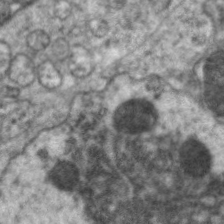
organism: C. elegans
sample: Pharynx